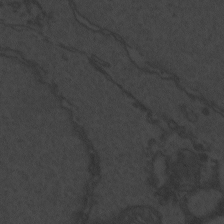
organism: Zebrafish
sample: Macrophage infected with Toxoplasma gondii